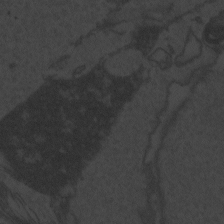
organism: Zebrafish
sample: Macrophage infected with Toxoplasma gondii